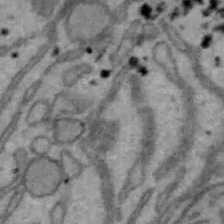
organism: Mouse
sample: Liver